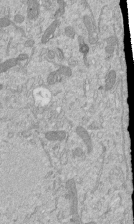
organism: Mouse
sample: ED-1 cell nuclei; centrioles